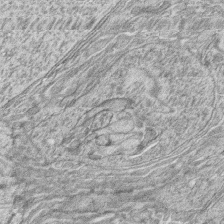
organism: Zebrafish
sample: synaptic ribbons in rod cells and cone cells